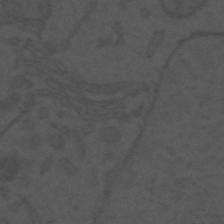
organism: Mouse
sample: Suprachiasmatic nucleus